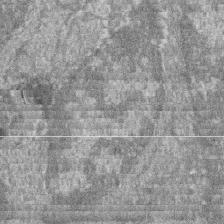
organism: Zebrafish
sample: Cilia; retinal pigment epithelium